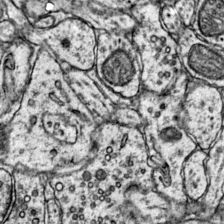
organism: Mouse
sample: Primary visual cortex